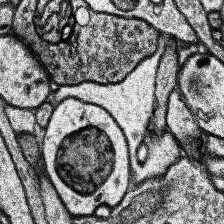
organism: Human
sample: Temporal Lobe